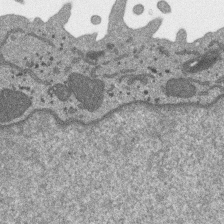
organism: Human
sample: Lung epithelial cells infected with SARS-CoV-2